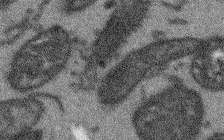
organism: Arabidopsis thaliana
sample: Root tip